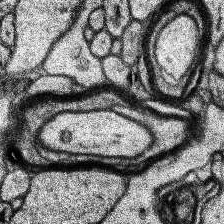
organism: Human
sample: Temporal Lobe